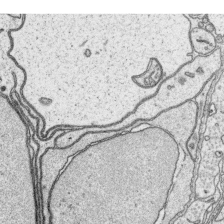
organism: Platynereis dumerilii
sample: Parapodia